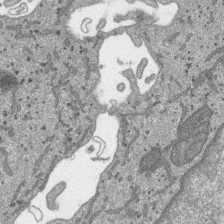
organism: Human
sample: Lung epithelial cells infected with SARS-CoV-2